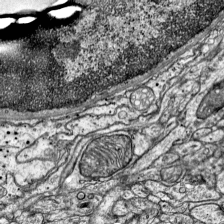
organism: Mouse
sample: Visual Cortex